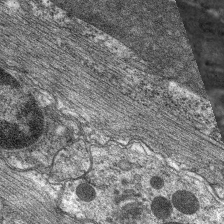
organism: C. elegans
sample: Pharynx